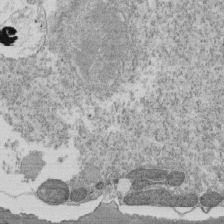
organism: Tetrahymena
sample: Cilia in tetrahymena